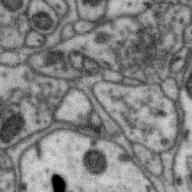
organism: Zebra finch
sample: Brain